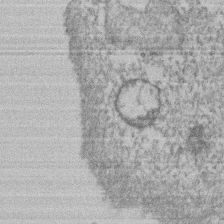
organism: Mouse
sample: T cell stromal cell synapse